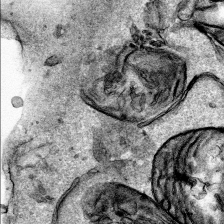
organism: Human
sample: Mitochondria in HCT116 cells